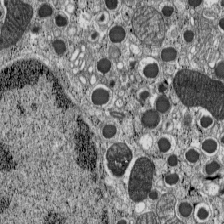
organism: C57BL Mouse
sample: Pancreatic islet